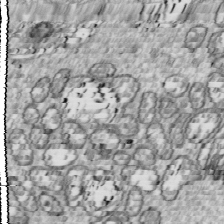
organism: Drosophila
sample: Cell division; meiosis; drosophila spermatocytes